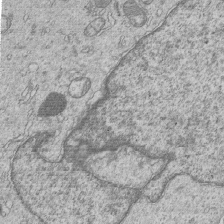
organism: Human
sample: MDA-MB-231 cells